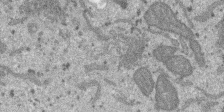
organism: Human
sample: Lung epithelial cells infected with SARS-CoV-2